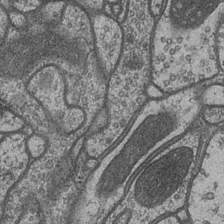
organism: Drosophila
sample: Optic medulla